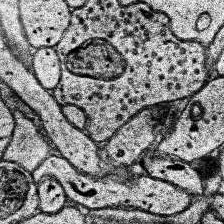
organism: Human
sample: Temporal Lobe